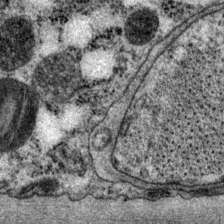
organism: P. pacificus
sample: Pharynx